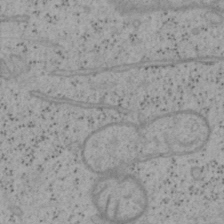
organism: Human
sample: HeLa cells